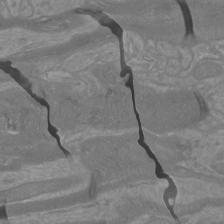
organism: Mouse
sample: Cortical neurons